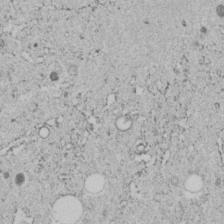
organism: C. elegans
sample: C. elegans embryo early stage